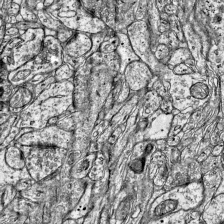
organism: Mouse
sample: Visual Cortex